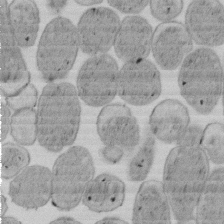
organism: E. coli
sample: Bacterial nucleoid